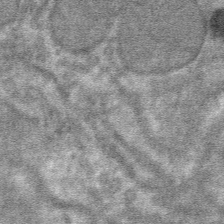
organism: Mouse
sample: Mouse hepatocytes